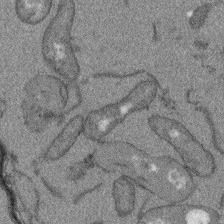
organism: Arabidopsis thaliana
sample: Root tip